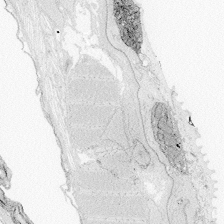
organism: Zebrafish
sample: Whole-Brain